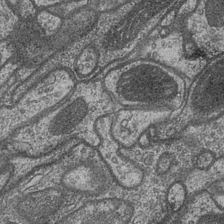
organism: Drosophila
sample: Optic medulla